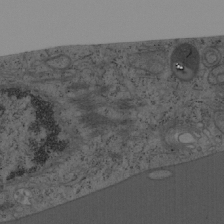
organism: Human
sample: HeLa cells